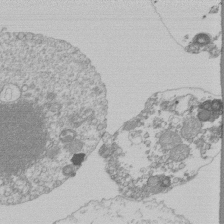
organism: Mouse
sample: Activated Pmel transgenic CD8+ T Cells